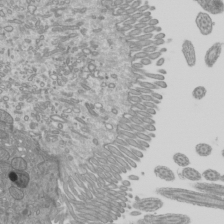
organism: Mouse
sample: Cilia; mouse epididymis